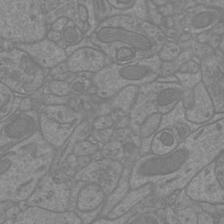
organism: Mouse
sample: Cortical neurons